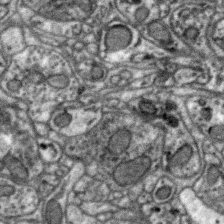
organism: Zebra finch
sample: Brain